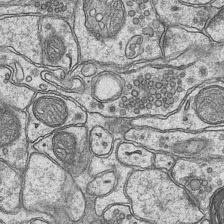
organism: Mouse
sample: CA1 Hippocampus